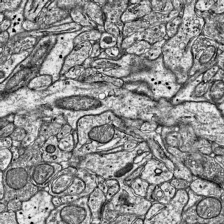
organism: Mouse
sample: Visual Cortex